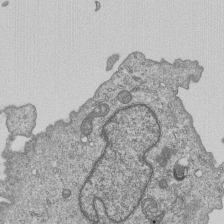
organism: Human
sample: MDA-MB-231 cells